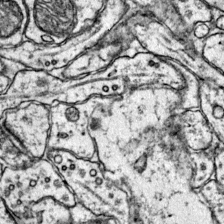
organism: Mouse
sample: Primary visual cortex